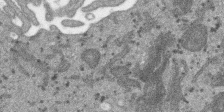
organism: Human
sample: Lung epithelial cells infected with SARS-CoV-2